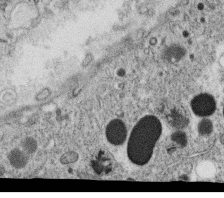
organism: C. elegans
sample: C. elegans oocyte; sperm cells